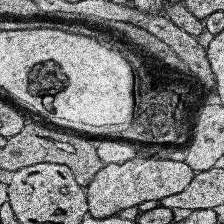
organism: Human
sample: Temporal Lobe